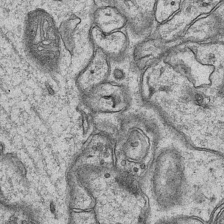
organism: Mouse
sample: CA1 Hippocampus